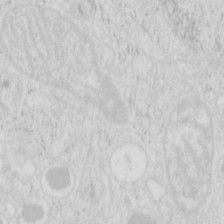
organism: Mouse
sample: Pancreas